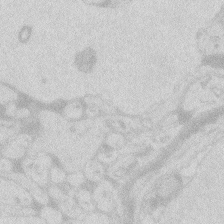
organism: Zebrafish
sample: Macrophage